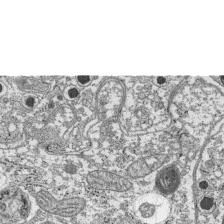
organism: C57BL Mouse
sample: Pancreatic islet